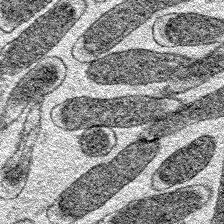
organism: E. coli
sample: E. Coli Bacteria